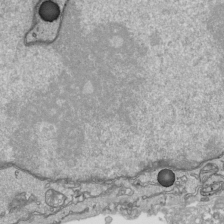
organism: Human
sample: Mitochondria in HCT116 cells